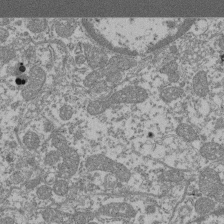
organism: Mouse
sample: Glomerulus